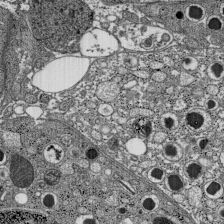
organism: C57BL Mouse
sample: Pancreatic islet